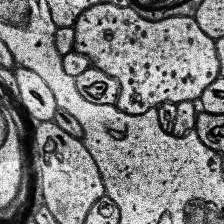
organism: Human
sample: Temporal Lobe